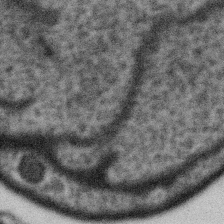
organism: Gemmata obscuriglobus